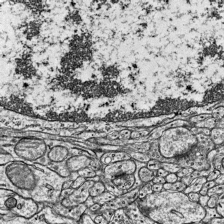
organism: Mouse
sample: Visual Cortex